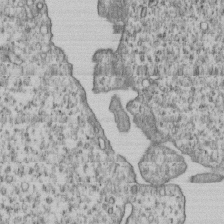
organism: Human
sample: MDA-MB-231 cells